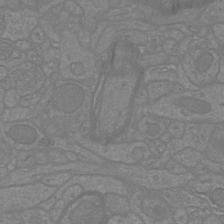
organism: Mouse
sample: Cortical neurons